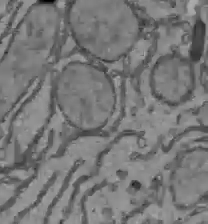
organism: C57BL Mouse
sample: Liver